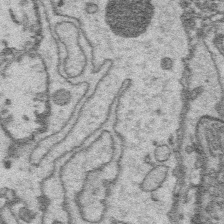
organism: Platynereis dumerilii